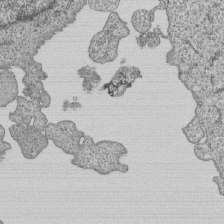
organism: Human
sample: MDA-MB-231 cells